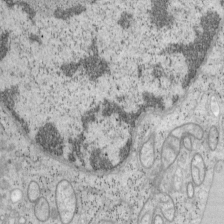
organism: Mouse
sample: OT-I killer T cells with ID8 ovarian cancer cells